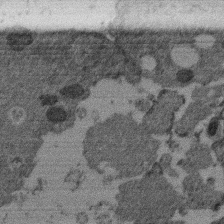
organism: Mouse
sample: Dividing mouse embryo 1 cell stage